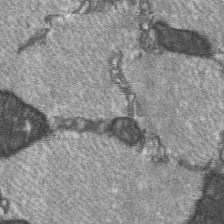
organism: C57BL Mouse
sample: Soleus